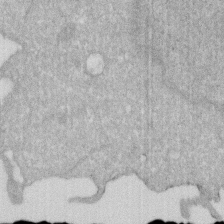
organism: Human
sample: HIV infected U937 cells